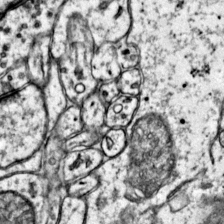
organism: Mouse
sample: Primary visual cortex